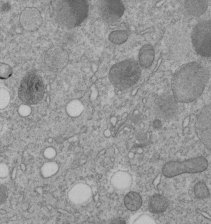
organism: C. elegans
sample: C. elegans embryo early stage